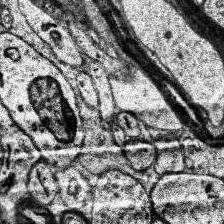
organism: Human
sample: Temporal Lobe